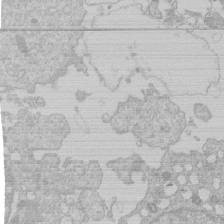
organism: Human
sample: Macrophage cells